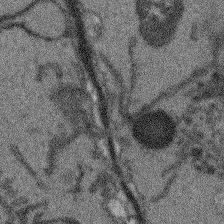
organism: Arabidopsis thaliana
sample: Root tip